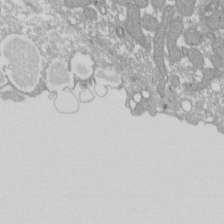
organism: Xenopus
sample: Cilia; centrioles in frog embryo cells